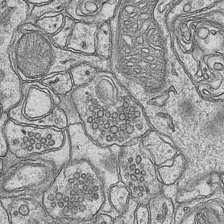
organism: Mouse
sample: CA1 Hippocampus